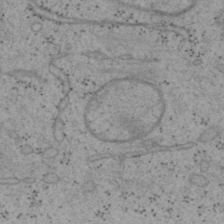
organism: Human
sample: HeLa cells